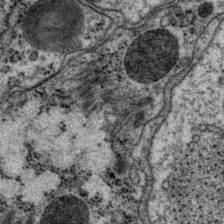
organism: P. pacificus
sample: Pharynx